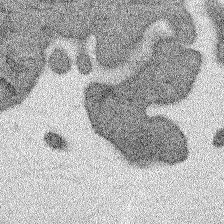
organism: Human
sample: HeLa cells